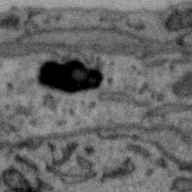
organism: Zebra finch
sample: Brain